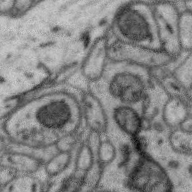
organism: Zebra finch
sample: Brain